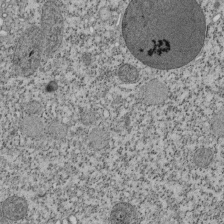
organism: Tetrahymena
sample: Cilia in tetrahymena